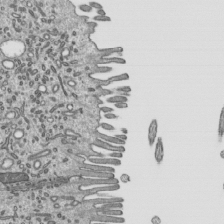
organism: Mouse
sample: Mouse epididymis efferent ductule cilia